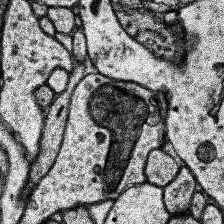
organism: Human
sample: Temporal Lobe